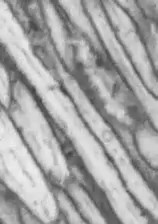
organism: Drosophila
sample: Optic lobe